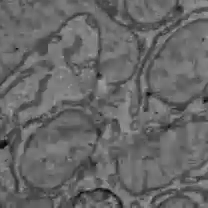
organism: C57BL Mouse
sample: Liver